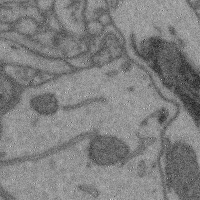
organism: Mouse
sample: Cerebral cortex